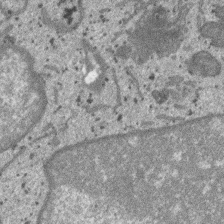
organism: Human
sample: Lung epithelial cells infected with SARS-CoV-2